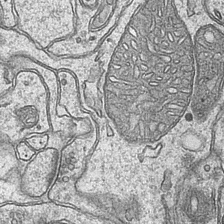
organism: Mouse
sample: CA1 Hippocampus